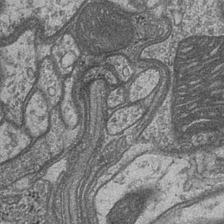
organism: Drosophila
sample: Optic medulla